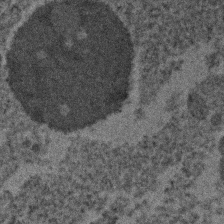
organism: Human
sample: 1205lu cells